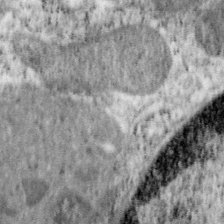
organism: Mouse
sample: OT-I killer T cells with ID8 ovarian cancer cells